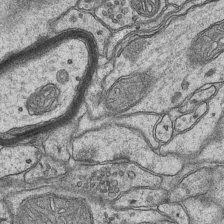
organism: Mouse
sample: CA1 Hippocampus